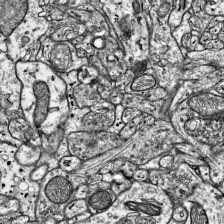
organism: Mouse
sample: Visual Cortex